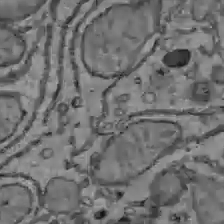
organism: C57BL Mouse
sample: Liver